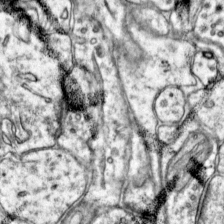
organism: Mouse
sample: Primary visual cortex